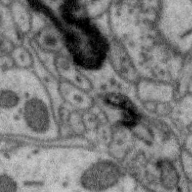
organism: Zebra finch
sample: Brain